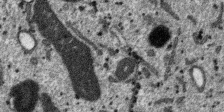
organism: Human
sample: Lung epithelial cells infected with SARS-CoV-2